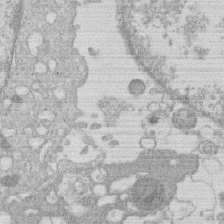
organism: Human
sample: Macrophage cells